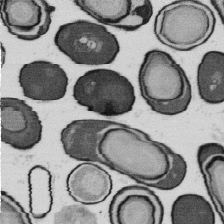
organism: B. subtilis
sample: Bacterial spore